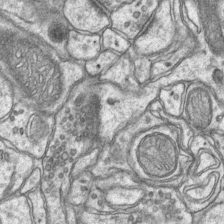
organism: Mouse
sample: CA1 Hippocampus